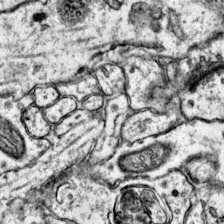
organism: Mouse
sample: Primary visual cortex